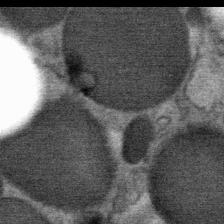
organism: Mouse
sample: Mouse Salivary gland